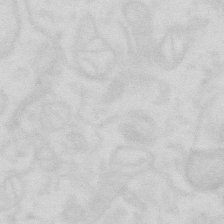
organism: Human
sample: HeLa cells